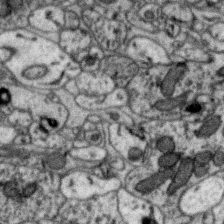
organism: Zebra finch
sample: Brain